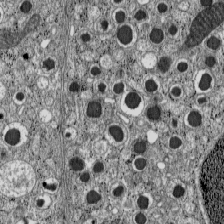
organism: C57BL Mouse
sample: Pancreatic islet